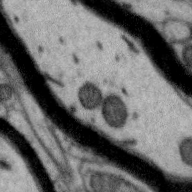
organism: Zebra finch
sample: Brain